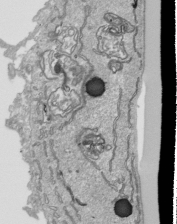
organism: Human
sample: Mitochondria in HCT116 cells